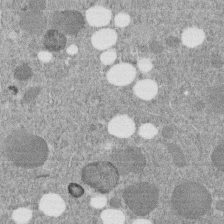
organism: C. elegans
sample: C. elegans embryo early stage